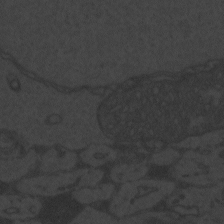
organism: Zebrafish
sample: Macrophage infected with Toxoplasma gondii